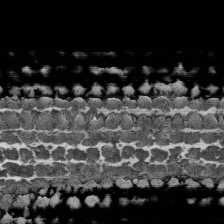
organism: Human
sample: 1205lu cells